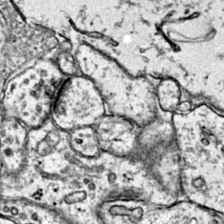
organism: Mouse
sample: Primary visual cortex